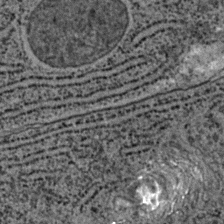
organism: C. elegans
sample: C. elegans embryo